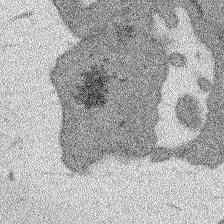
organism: Human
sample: HeLa cells